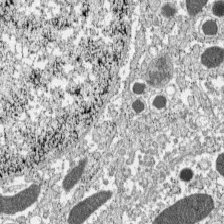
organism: C57BL Mouse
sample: Pancreatic islet